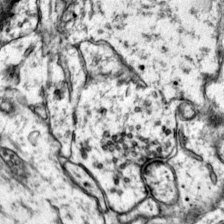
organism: Mouse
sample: Primary visual cortex